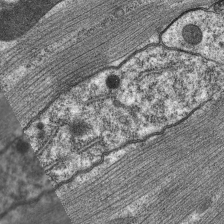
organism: C. elegans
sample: Pharynx